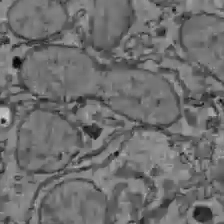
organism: C57BL Mouse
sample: Liver